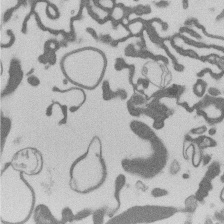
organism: Mouse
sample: Dividing mouse embryo 1 cell stage